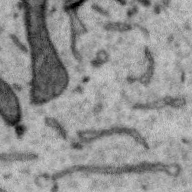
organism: Zebra finch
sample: Brain